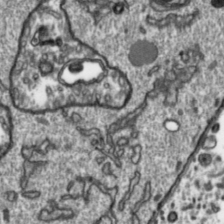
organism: Toxoplasma gondii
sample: Parasites in a vacuole inside a host cell